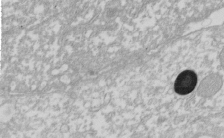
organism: Xenopus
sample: Cilia; centrioles in frog embryo cells